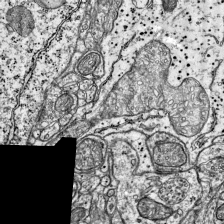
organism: Mouse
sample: Visual Cortex